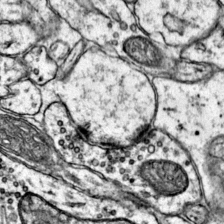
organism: Mouse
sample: Primary visual cortex